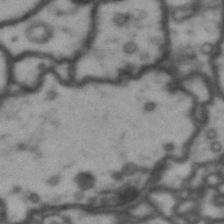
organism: Drosophila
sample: Brain